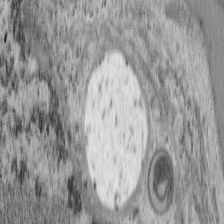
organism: Human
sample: HeLa cells